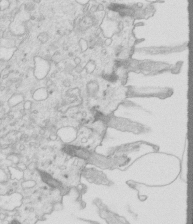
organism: Mouse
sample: Multiciliated cells